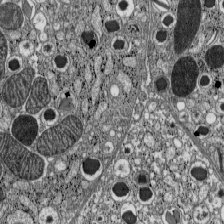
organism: C57BL Mouse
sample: Pancreatic islet